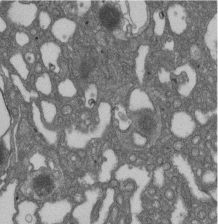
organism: Drosophila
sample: Nephrocyte